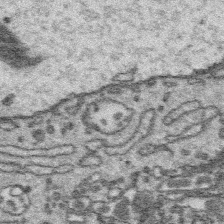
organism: Platynereis dumerilii